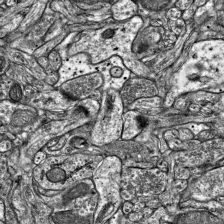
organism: Mouse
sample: Visual Cortex